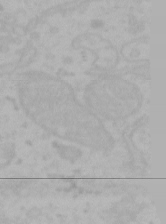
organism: Mouse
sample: Choroid plexus